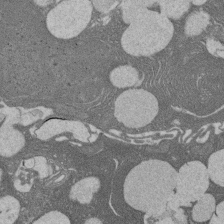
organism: Rat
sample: Salivary granule